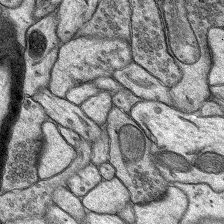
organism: Rat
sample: Hippocampus